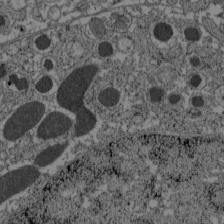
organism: C57BL Mouse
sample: Pancreatic islet